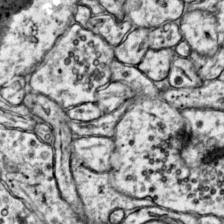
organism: Mouse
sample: Primary visual cortex